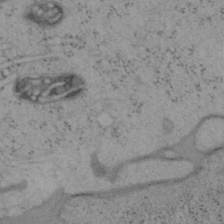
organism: Mouse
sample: OT-I killer T cells with ID8 ovarian cancer cells